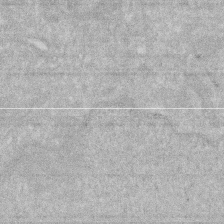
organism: Human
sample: HIV infected U937 cells